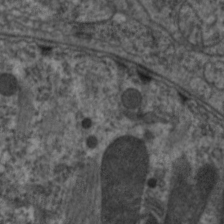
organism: C. elegans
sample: Pharynx